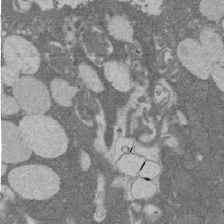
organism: Rat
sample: Salivary granule